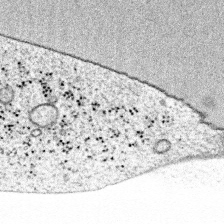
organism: Human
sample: HeLa cells